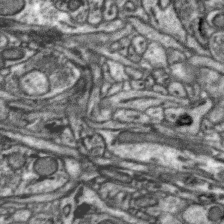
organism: Zebra finch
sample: Brain